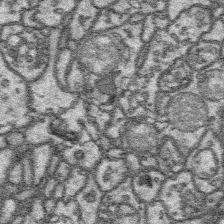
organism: Platynereis dumerilii